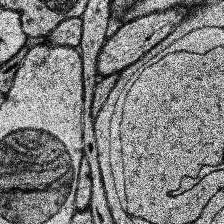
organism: Human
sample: Temporal Lobe